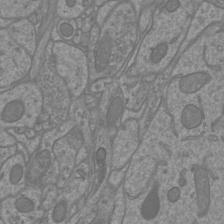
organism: Mouse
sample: Cortical neurons